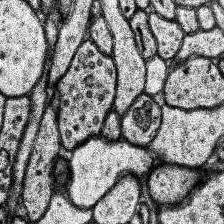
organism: Human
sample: Temporal Lobe